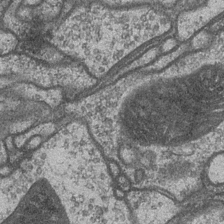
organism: Drosophila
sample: Optic medulla